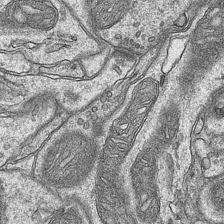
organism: Mouse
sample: CA1 Hippocampus